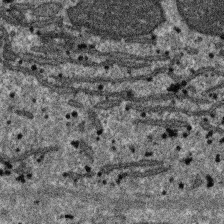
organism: Human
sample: Lung epithelial cells infected with SARS-CoV-2